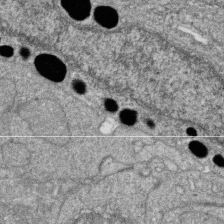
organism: Zebrafish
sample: Cilia; retinal pigment epithelium